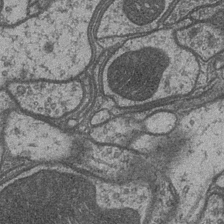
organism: Drosophila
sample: Optic medulla